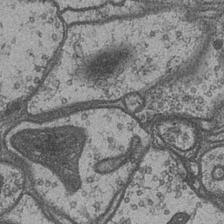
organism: Drosophila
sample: Optic medulla